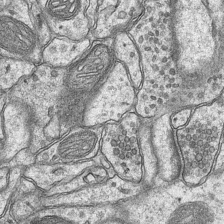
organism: Mouse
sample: CA1 Hippocampus